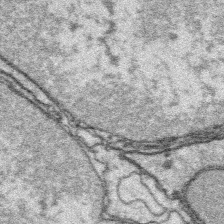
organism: Platynereis dumerilii